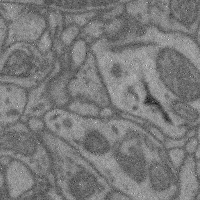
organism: Mouse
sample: Cerebral cortex